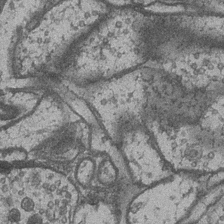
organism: Drosophila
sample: Optic medulla